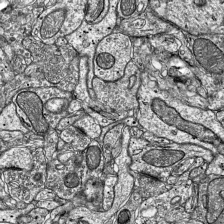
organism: Mouse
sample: Visual Cortex